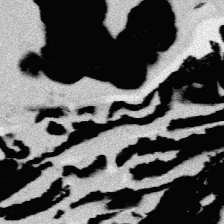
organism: Platynereis dumerilii